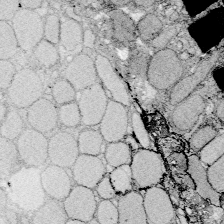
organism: Zebrafish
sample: Whole-Brain